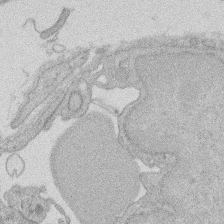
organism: Rat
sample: Salivary granule